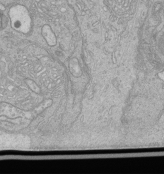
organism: Human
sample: Retinal organoid Rod and Cone cells